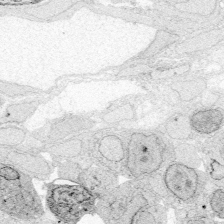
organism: Zebrafish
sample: Whole-Brain